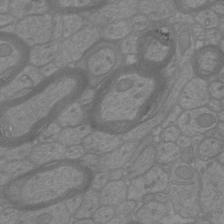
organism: Mouse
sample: Cortical neurons